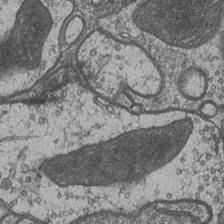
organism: Drosophila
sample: Optic medulla